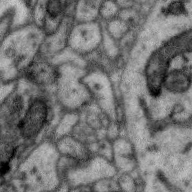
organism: Zebra finch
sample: Brain